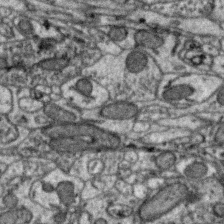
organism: Zebra finch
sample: Brain